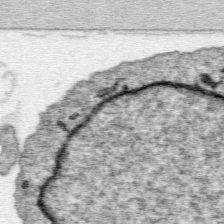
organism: Human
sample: HeLa cells